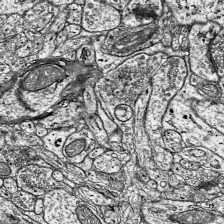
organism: Mouse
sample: Visual Cortex